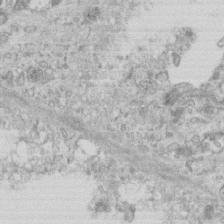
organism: Mouse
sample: Centriole in ependymal cells